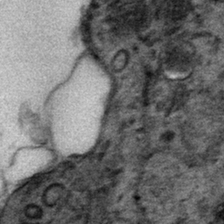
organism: Mouse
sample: Mouse hepatocytes